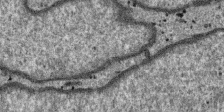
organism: Human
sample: Lung epithelial cells, uninfected (mock) control